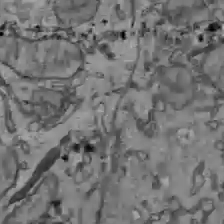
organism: C57BL Mouse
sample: Liver